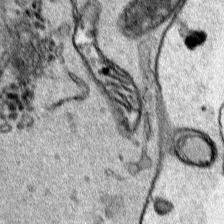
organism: Human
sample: Mitochondria in HCT116 cells